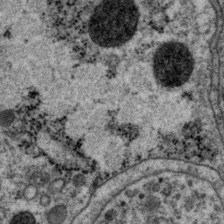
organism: P. pacificus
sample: Pharynx